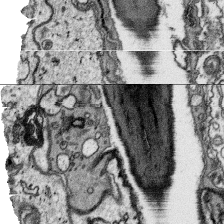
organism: Platynereis dumerilii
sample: Parapodia